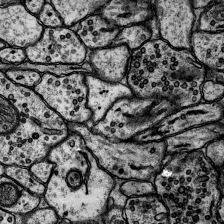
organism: Rat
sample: Hippocampus